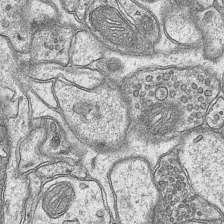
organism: Mouse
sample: CA1 Hippocampus